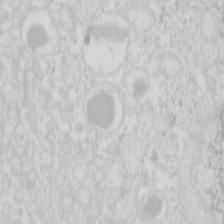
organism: Mouse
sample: Pancreas